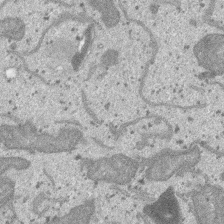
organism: Human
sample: Lung epithelial cells infected with SARS-CoV-2